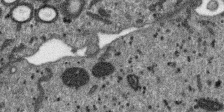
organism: Human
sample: Lung epithelial cells infected with SARS-CoV-2